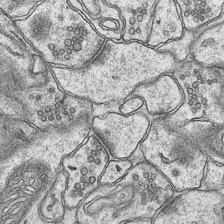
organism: Mouse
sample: CA1 Hippocampus